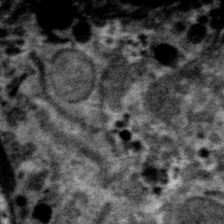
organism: Mouse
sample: Mouse hepatocytes